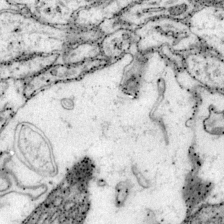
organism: Mouse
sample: Primary visual cortex